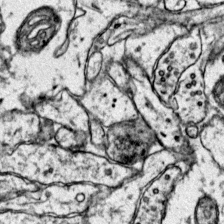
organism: Mouse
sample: Primary visual cortex